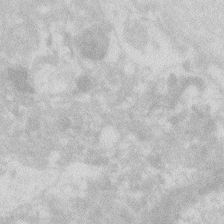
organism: Zebrafish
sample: Macrophage